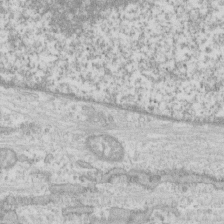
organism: Human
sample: CRL-1474